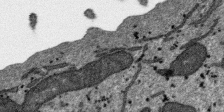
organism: Human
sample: Lung epithelial cells, uninfected (mock) control